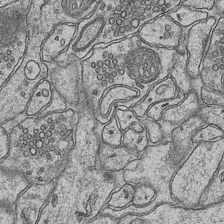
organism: Mouse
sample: CA1 Hippocampus